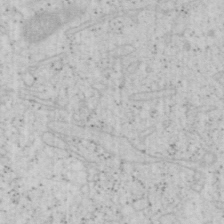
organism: Human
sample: HeLa cells